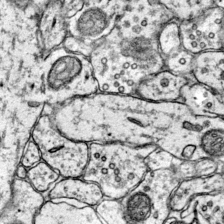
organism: Mouse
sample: Primary visual cortex